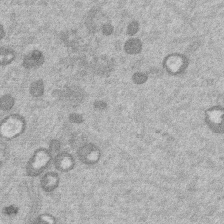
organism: Mouse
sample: Dividing mouse embryo 1 cell stage